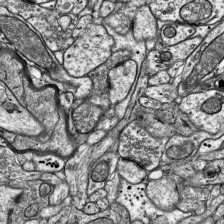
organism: Mouse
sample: Visual Cortex